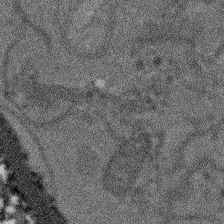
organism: Arabidopsis thaliana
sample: Root tip